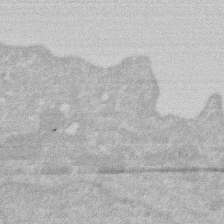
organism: Human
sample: HIV infected U937 cells